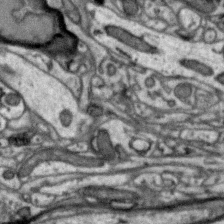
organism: Zebra finch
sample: Brain